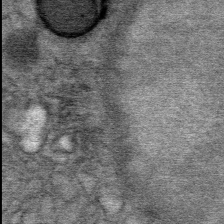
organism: Mouse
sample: Mouse Salivary gland